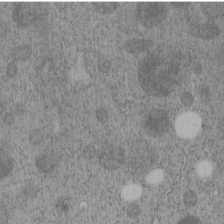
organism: C. elegans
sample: C. elegans embryo early stage